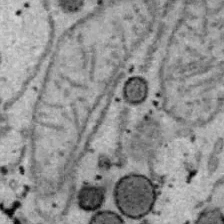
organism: Mouse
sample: Liver from an obese (ob/ob) mouse